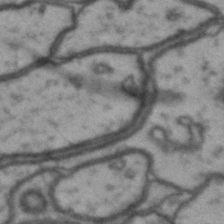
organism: Drosophila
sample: Brain